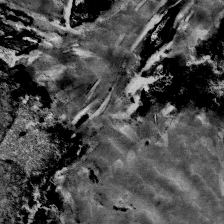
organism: Mouse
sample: Mouse Salivary gland